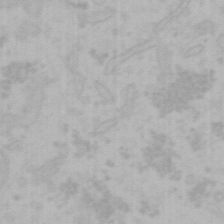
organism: Mouse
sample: Choroid plexus